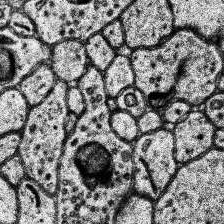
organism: Human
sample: Temporal Lobe